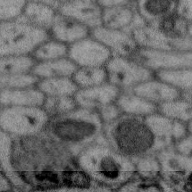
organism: Zebra finch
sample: Brain